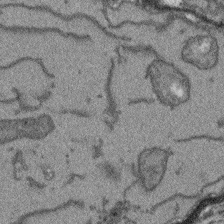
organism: Arabidopsis thaliana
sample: Root tip